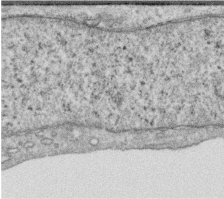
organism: Human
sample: Centriole in RPE cells